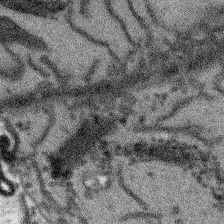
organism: Arabidopsis thaliana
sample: Root tip